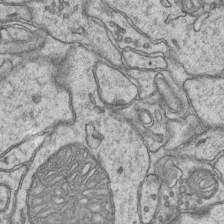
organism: Mouse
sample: CA1 Hippocampus